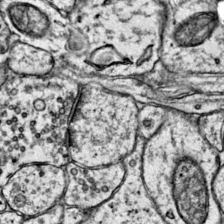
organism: Mouse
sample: Primary visual cortex